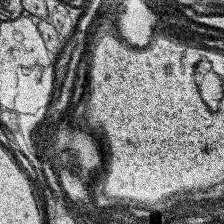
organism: Human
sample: Temporal Lobe